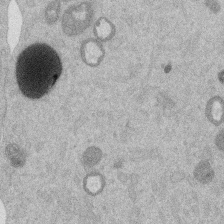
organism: Mouse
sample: Dividing mouse embryo 1 cell stage